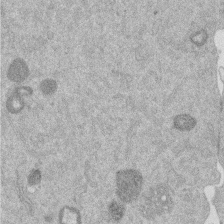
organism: Mouse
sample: Dividing mouse embryo 1 cell stage